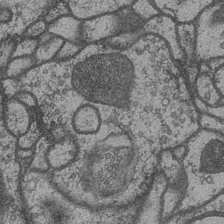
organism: Drosophila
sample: Optic medulla